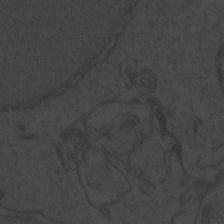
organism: Zebrafish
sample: Macrophage infected with Toxoplasma gondii